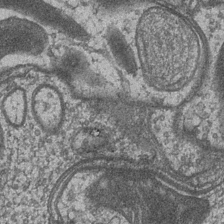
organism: Drosophila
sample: Optic medulla